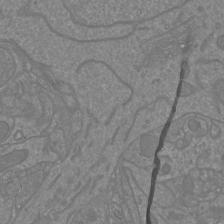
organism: Mouse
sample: Cortical neurons